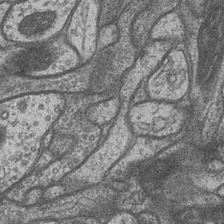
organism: Drosophila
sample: Optic medulla